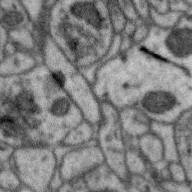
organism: Zebra finch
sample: Brain